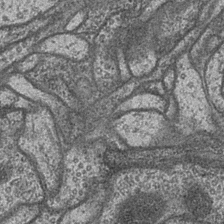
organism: Drosophila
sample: Optic medulla